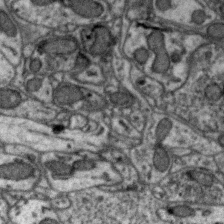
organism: Zebra finch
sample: Brain